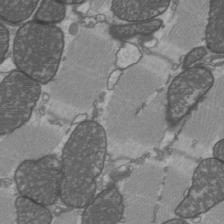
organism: C57BL Mouse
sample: Heart